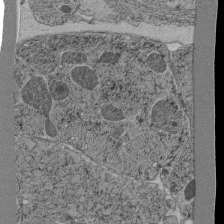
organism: C. elegans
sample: C. elegans pharynx